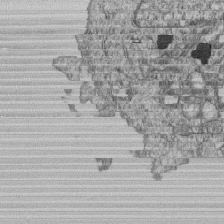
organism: Human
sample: MDA-MB-231 cells